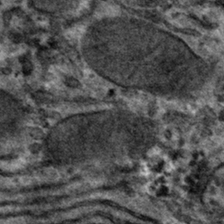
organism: Mouse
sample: Mouse hepatocytes